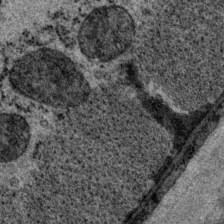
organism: P. pacificus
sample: Pharynx